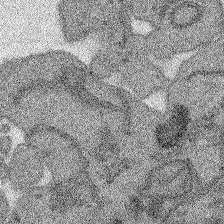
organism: Human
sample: HeLa cells